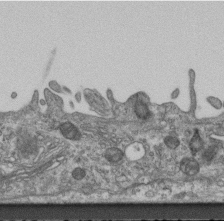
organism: Mouse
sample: Centriole in ependymal cells